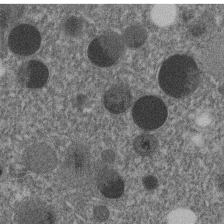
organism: C. elegans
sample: C. elegans embryo early stage